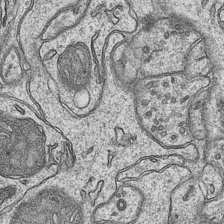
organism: Mouse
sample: CA1 Hippocampus